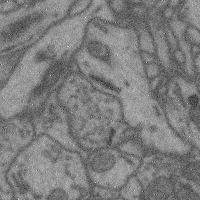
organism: Mouse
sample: Cerebral cortex